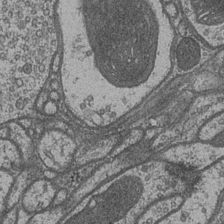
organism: Drosophila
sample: Optic medulla